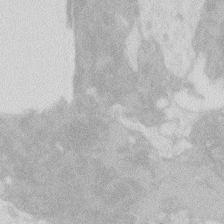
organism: Zebrafish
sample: Macrophage